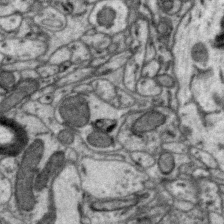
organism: Zebra finch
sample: Brain